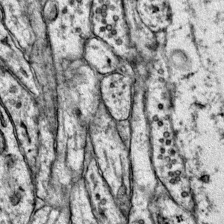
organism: Mouse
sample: Primary visual cortex